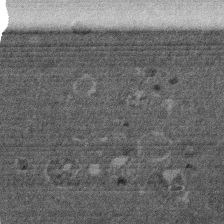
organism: Mouse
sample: Dividing mouse embryo 1 cell stage